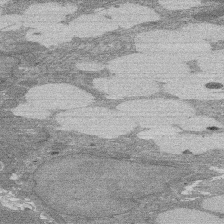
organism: Rat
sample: Salivary granule